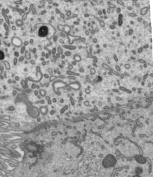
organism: Mouse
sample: Mouse epididymis efferent ductule cilia